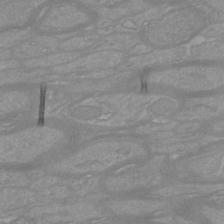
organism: Mouse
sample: Cortical neurons